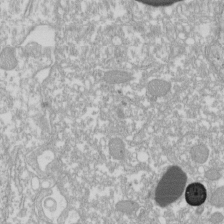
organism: Xenopus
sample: Cilia; centrioles in frog embryo cells